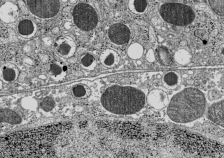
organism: C57BL Mouse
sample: Pancreatic islet